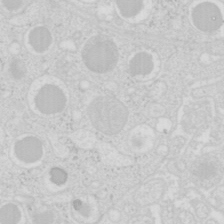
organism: Mouse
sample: Pancreas